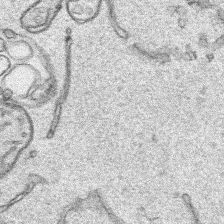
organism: Human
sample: Mitochondria in HCT116 cells